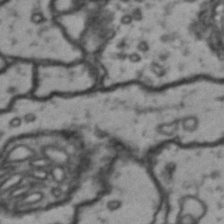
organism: Drosophila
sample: Brain